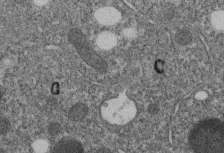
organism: C. elegans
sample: C. elegans embryo early stage